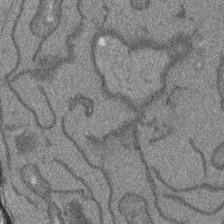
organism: Arabidopsis thaliana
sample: Root tip